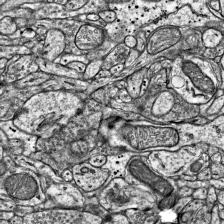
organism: Mouse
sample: Visual Cortex